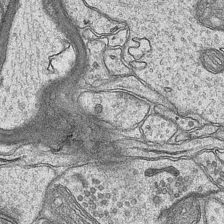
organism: Mouse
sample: CA1 Hippocampus